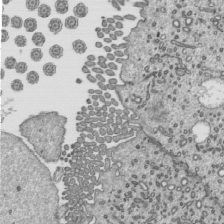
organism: Mouse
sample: Mouse epididymis efferent ductule cilia